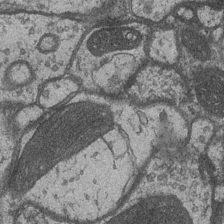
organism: Drosophila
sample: Optic medulla